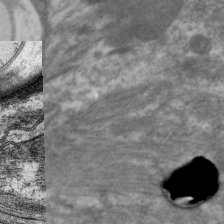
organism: C. elegans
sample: Pharynx